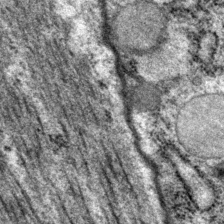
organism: P. pacificus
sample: Pharynx